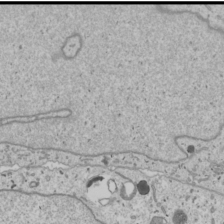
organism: Human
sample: Mitochondria in U2OS cells